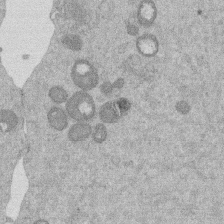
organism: Mouse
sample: Dividing mouse embryo 1 cell stage